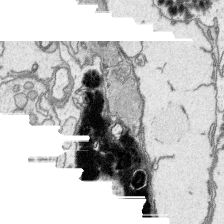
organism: Platynereis dumerilii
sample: Parapodia